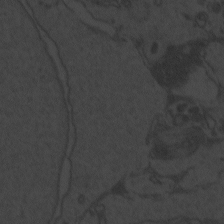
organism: Zebrafish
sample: Macrophage infected with Toxoplasma gondii